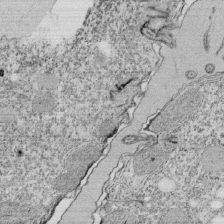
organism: Tetrahymena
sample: Cilia in tetrahymena